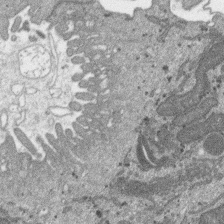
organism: Human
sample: Lung epithelial cells infected with SARS-CoV-2